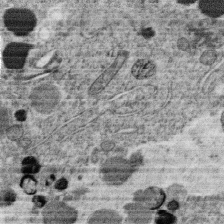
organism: C. elegans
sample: C. elegans oocyte; sperm cells